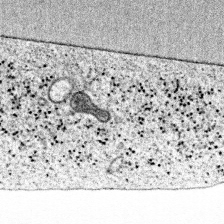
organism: Human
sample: HeLa cells